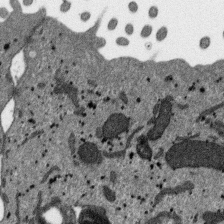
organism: Human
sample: Lung epithelial cells, uninfected (mock) control